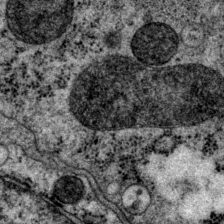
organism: P. pacificus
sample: Pharynx